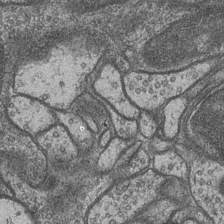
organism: Drosophila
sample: Optic medulla